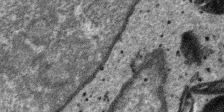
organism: Human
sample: Lung epithelial cells, uninfected (mock) control